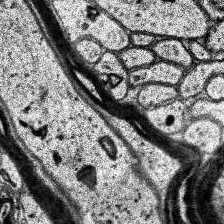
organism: Human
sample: Temporal Lobe